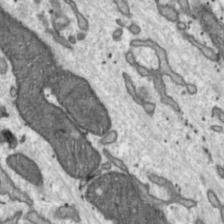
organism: Toxoplasma gondii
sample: Parasites in a vacuole inside a host cell